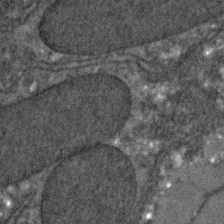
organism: C. elegans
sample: C. elegans embryo